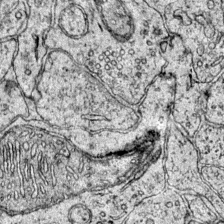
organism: Mouse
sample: Primary visual cortex